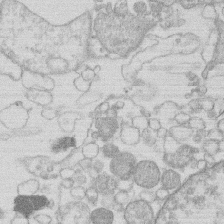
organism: Human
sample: Macrophage cells